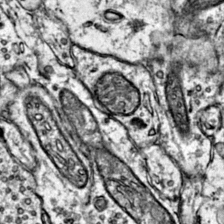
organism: Mouse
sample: Primary visual cortex